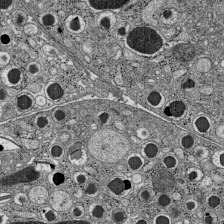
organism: C57BL Mouse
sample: Pancreatic islet